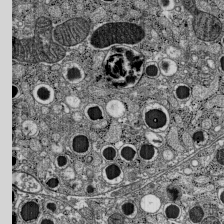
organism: C57BL Mouse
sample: Pancreatic islet